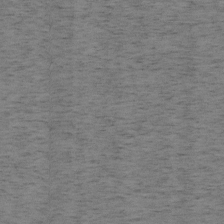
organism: Mouse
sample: OT-I killer T cells with ID8 ovarian cancer cells